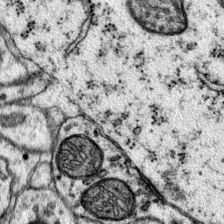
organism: Mouse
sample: Primary visual cortex